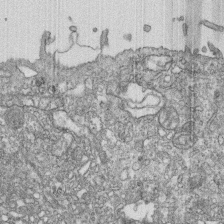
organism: Human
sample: HeLa cell HIV synapse